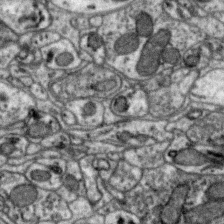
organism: Zebra finch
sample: Brain